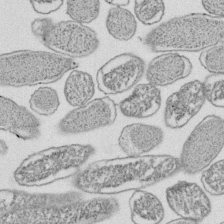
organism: E. coli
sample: Bacterial nucleoid